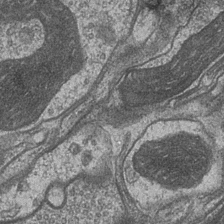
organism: Drosophila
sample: Optic medulla